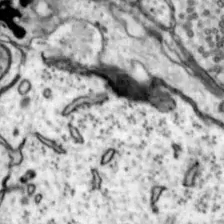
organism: Mouse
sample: Nucleus accumbens